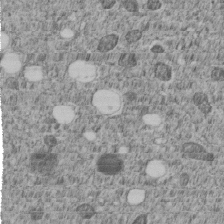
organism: C. elegans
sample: C. elegans embryo early stage